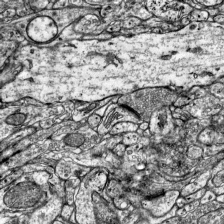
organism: Mouse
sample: Visual Cortex